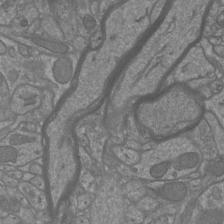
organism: Mouse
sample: Cortical neurons